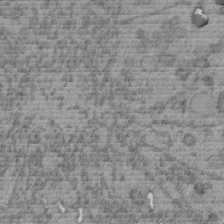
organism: C. elegans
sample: C. elegans embryo early stage